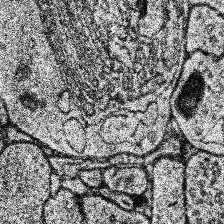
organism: Human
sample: Temporal Lobe